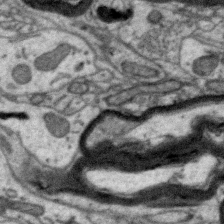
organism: Zebra finch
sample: Brain